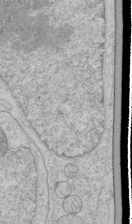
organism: Human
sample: Mitochondria in HCT116 cells